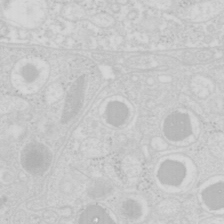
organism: Mouse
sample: Pancreas